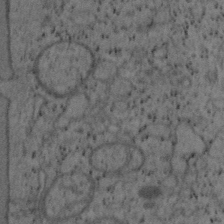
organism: Human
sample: HeLa cells